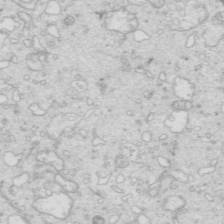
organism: Mouse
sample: Multiciliated cells